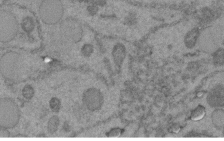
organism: C. elegans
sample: C. elegans embryo early stage